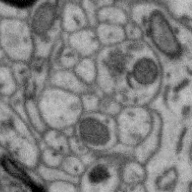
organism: Zebra finch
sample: Brain